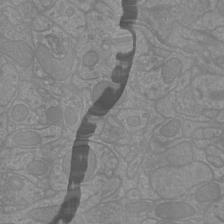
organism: Mouse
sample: Cortical neurons